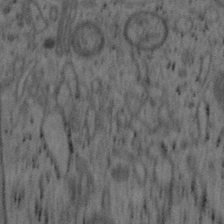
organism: Human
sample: HeLa cells